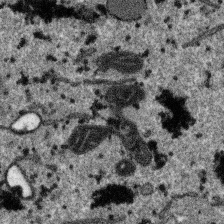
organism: Human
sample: Lung epithelial cells infected with SARS-CoV-2